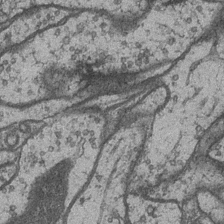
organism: Drosophila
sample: Optic medulla